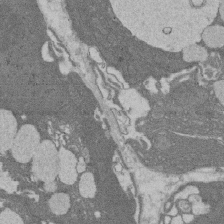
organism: Rat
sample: Salivary granule